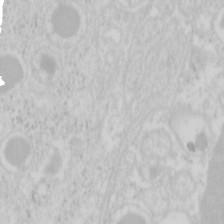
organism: Mouse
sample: Pancreas